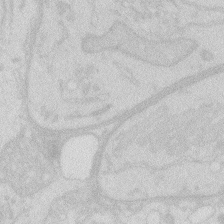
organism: Zebrafish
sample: Macrophage